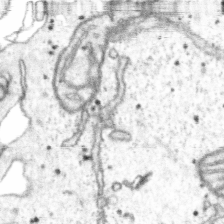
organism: Human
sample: HeLa cells